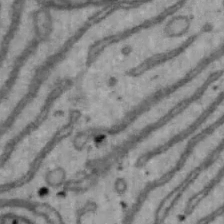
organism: Mouse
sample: Liver